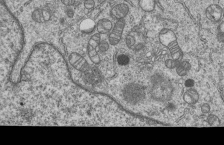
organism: Human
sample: MDA-MB-231 cells